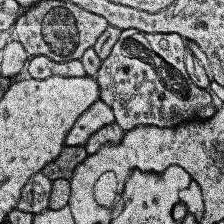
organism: Human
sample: Temporal Lobe